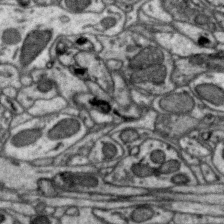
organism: Zebra finch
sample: Brain